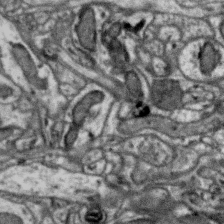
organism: Zebra finch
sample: Brain